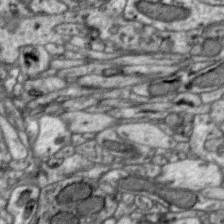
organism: Zebra finch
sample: Brain